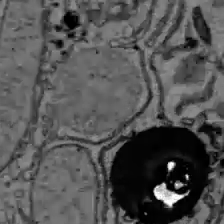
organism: C57BL Mouse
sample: Liver